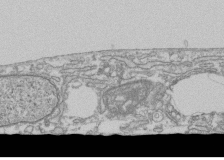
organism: Human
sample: Fibroblast cells